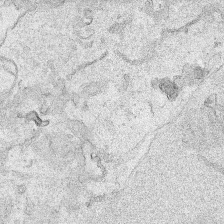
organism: Human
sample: Mitochondria in HCT116 cells